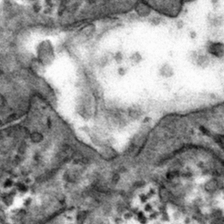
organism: Mouse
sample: Mouse hepatocytes